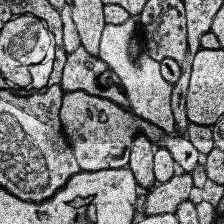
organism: Human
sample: Temporal Lobe